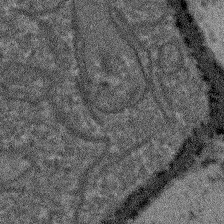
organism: Arabidopsis thaliana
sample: Root tip